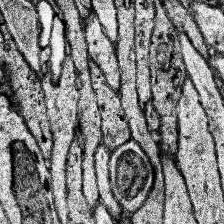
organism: Human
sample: Temporal Lobe